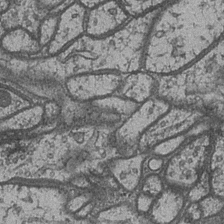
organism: Drosophila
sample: Optic medulla